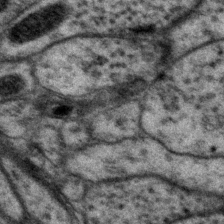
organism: P. pacificus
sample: Pharynx